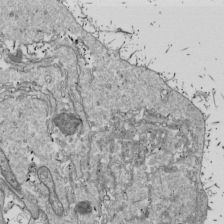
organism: Drosophila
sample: Cell division; meiosis; drosophila spermatocytes